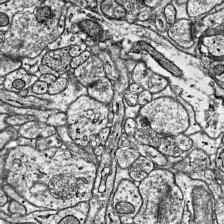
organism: Mouse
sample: Visual Cortex